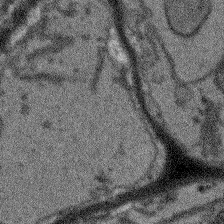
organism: Arabidopsis thaliana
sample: Root tip